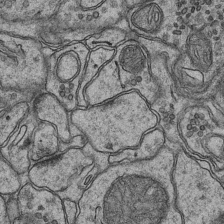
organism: Mouse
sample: CA1 Hippocampus